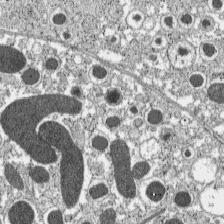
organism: C57BL Mouse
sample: Pancreatic islet